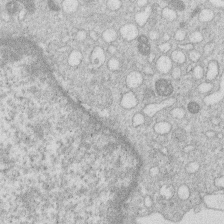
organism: Human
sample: Macrophage cells